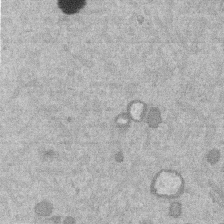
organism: Mouse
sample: Dividing mouse embryo 1 cell stage